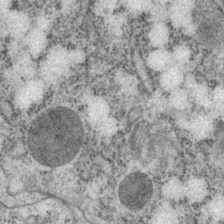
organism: P. pacificus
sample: Pharynx